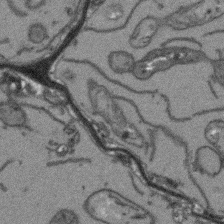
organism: Arabidopsis thaliana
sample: Root tip